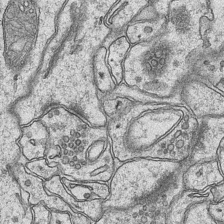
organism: Mouse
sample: CA1 Hippocampus